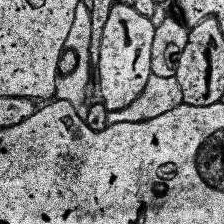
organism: Human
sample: Temporal Lobe